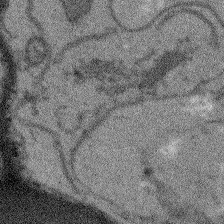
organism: Arabidopsis thaliana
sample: Root tip